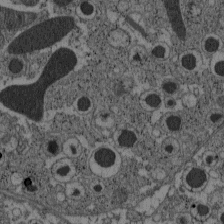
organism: C57BL Mouse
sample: Pancreatic islet